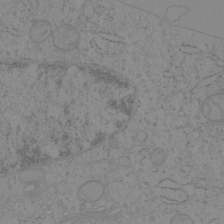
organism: Human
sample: HeLa cells